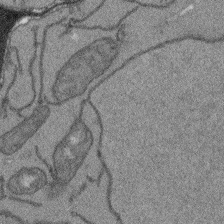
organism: Arabidopsis thaliana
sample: Root tip